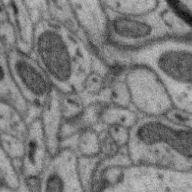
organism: Zebra finch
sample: Brain